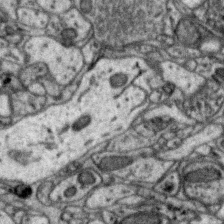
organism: Zebra finch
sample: Brain